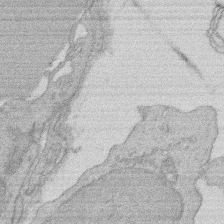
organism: Rat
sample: Salivary granule